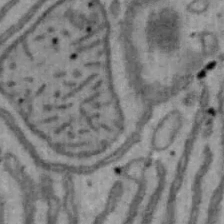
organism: Mouse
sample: Liver